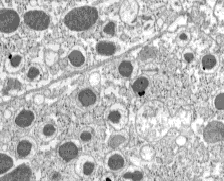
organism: C57BL Mouse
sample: Pancreatic islet